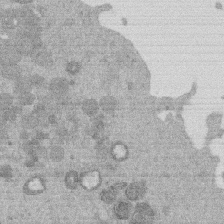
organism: Mouse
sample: Dividing mouse embryo 1 cell stage